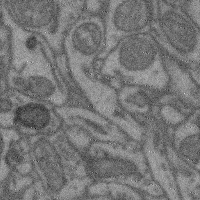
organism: Mouse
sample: Cerebral cortex